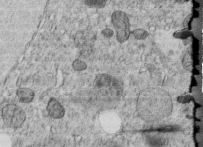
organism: C. elegans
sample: C. elegans embryo early stage